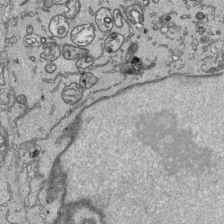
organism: Human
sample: Mitochondria in HCT116 cells